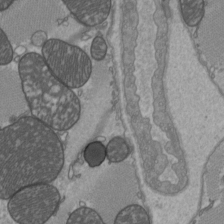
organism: C57BL Mouse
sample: Heart